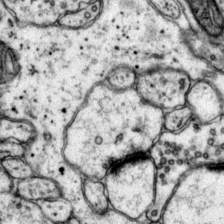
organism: Mouse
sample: Primary visual cortex